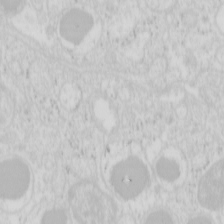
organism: Mouse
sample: Pancreas